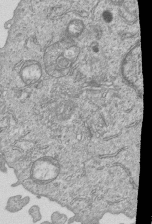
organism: Human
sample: MDA-MB-231 cells